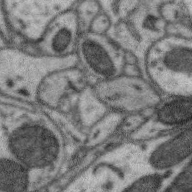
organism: Zebra finch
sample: Brain